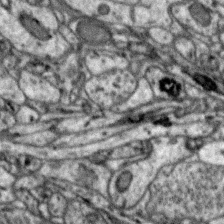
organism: Zebra finch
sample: Brain